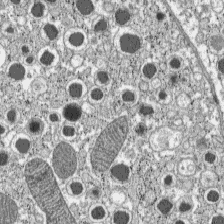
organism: C57BL Mouse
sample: Pancreatic islet